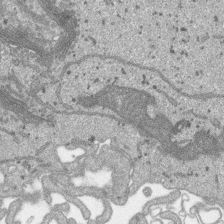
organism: Human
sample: Lung epithelial cells infected with SARS-CoV-2